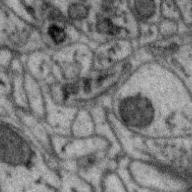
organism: Zebra finch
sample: Brain